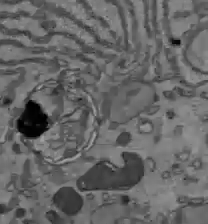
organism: C57BL Mouse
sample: Liver